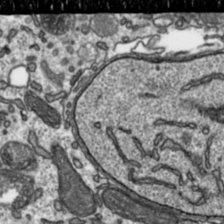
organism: Toxoplasma gondii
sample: Parasites in a vacuole inside a host cell